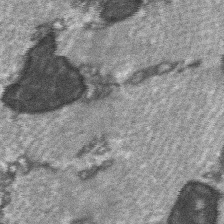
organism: C57BL Mouse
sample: Soleus